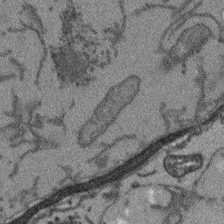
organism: Arabidopsis thaliana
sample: Root tip